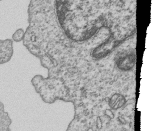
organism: Human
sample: MDA-MB-231 cells